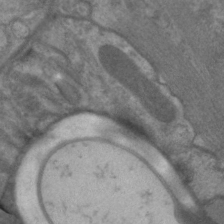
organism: C. elegans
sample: Pharynx